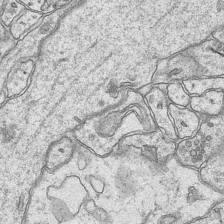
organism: Mouse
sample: CA1 Hippocampus